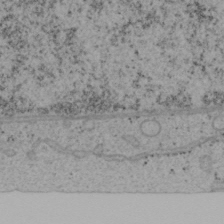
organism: Human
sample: HeLa cells